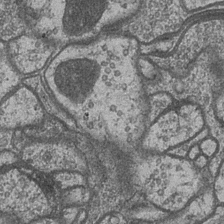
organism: Drosophila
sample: Optic medulla